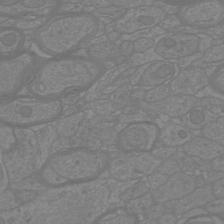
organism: Mouse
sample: Cortical neurons